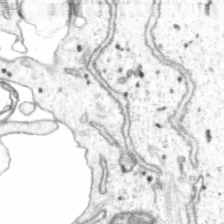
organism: Human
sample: HeLa cells